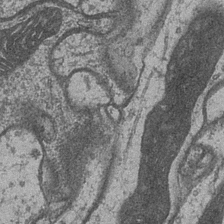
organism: Drosophila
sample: Optic medulla